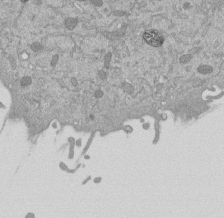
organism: Mouse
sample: ED-1 cell nuclei; centrioles